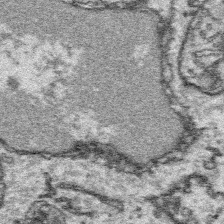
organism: Platynereis dumerilii